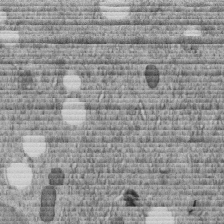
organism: C. elegans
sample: C. elegans embryo early stage